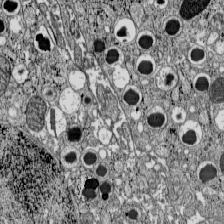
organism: C57BL Mouse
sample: Pancreatic islet